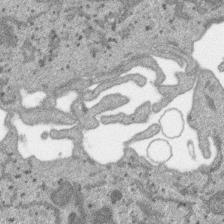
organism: Human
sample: Lung epithelial cells infected with SARS-CoV-2